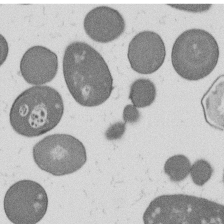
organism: B. subtilis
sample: Bacterial spore